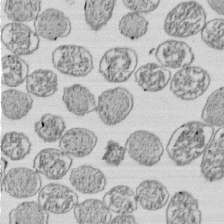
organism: E. coli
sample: Bacterial nucleoid